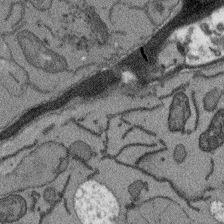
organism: Arabidopsis thaliana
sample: Root tip